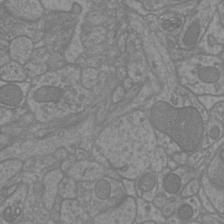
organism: Mouse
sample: Cortical neurons